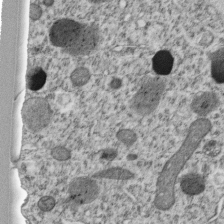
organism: C. elegans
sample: C. elegans embryo early stage